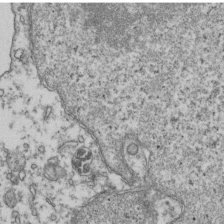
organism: Human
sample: Activated Jurkat CD4+ T cells